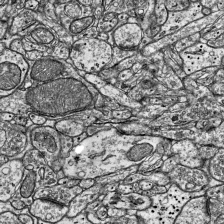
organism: Mouse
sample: Visual Cortex